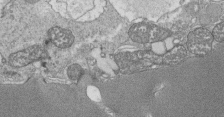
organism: Tetrahymena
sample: Cilia in tetrahymena